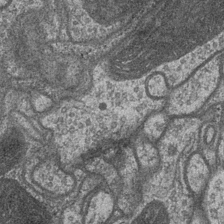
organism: Drosophila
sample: Optic medulla